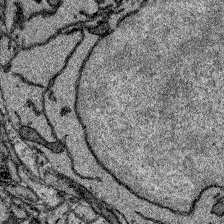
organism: Zebrafish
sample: Larval olfactory bulb